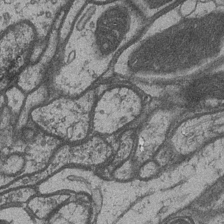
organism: Drosophila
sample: Optic medulla